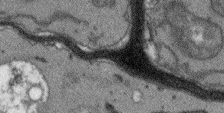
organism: Arabidopsis thaliana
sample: Root tip